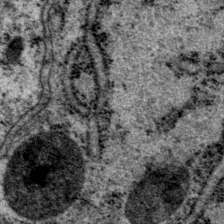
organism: P. pacificus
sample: Pharynx